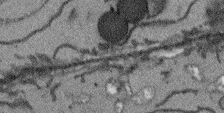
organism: Arabidopsis thaliana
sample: Root tip